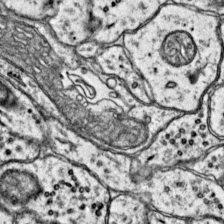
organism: Mouse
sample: Primary visual cortex